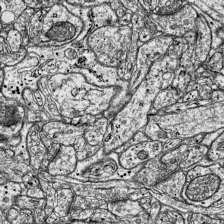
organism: Mouse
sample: Visual Cortex